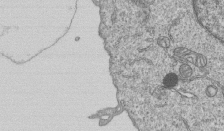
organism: Human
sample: MDA-MB-231 cells